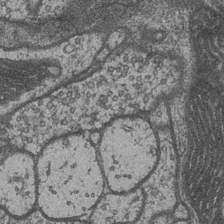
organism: Drosophila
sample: Optic medulla